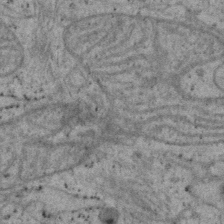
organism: Human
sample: HeLa cells